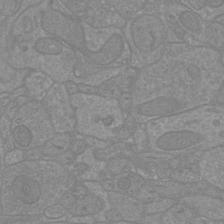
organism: Mouse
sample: Cortical neurons